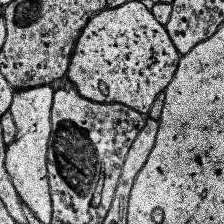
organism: Human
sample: Temporal Lobe